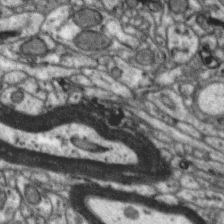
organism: Zebra finch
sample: Brain